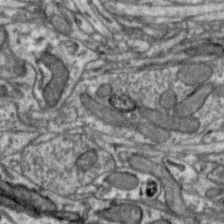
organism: Zebra finch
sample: Brain